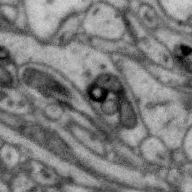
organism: Zebra finch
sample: Brain